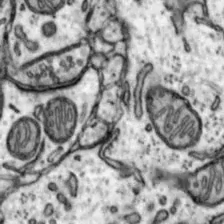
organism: Mouse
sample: Nucleus accumbens